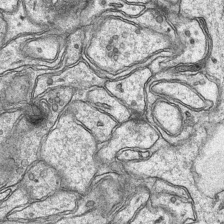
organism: Mouse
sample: CA1 Hippocampus